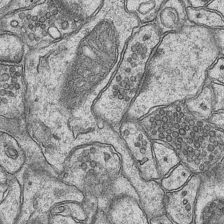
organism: Mouse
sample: CA1 Hippocampus